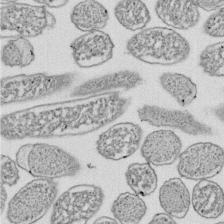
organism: E. coli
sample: Bacterial nucleoid